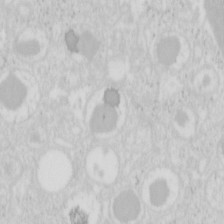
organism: Mouse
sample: Pancreas